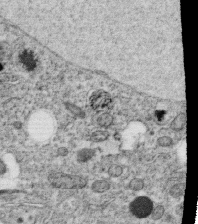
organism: C. elegans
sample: C. elegans oocyte; sperm cells